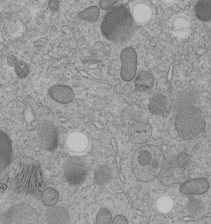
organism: C. elegans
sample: C. elegans embryo early stage